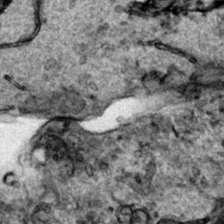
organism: Human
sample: Mitochondria in HCT116 cells